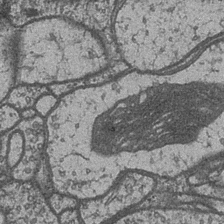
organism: Drosophila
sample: Optic medulla